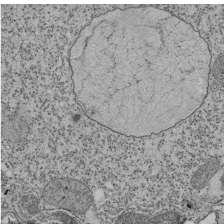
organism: Tetrahymena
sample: Cilia in tetrahymena